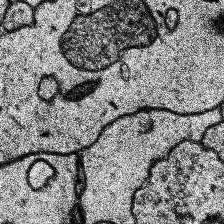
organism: Human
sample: Temporal Lobe